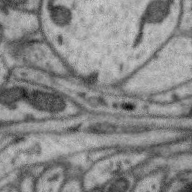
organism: Zebra finch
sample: Brain